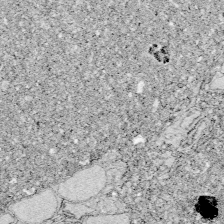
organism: Zebrafish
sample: Whole-Brain